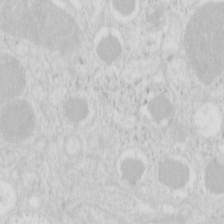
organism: Mouse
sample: Pancreas